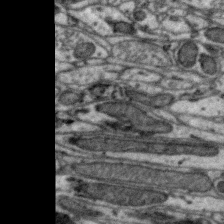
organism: Zebra finch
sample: Brain